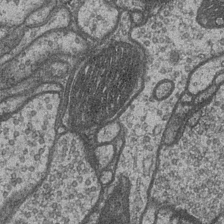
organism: Drosophila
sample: Optic medulla